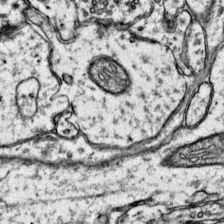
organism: Mouse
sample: Primary visual cortex